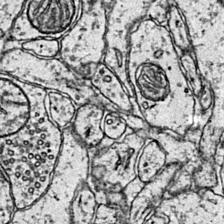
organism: Mouse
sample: Primary visual cortex